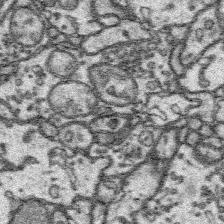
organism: Platynereis dumerilii